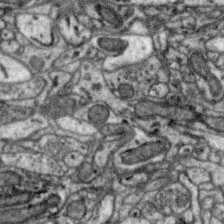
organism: Zebra finch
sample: Brain